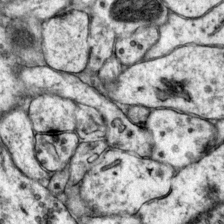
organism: Mouse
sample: Primary visual cortex